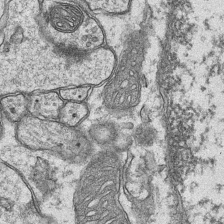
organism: Mouse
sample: CA1 Hippocampus